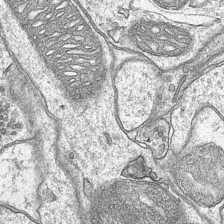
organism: Mouse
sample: CA1 Hippocampus